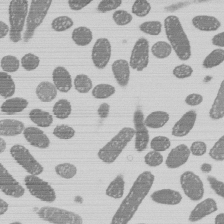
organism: E. coli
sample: Bacterial nucleoid